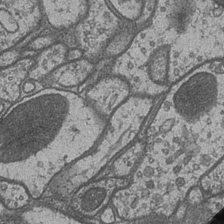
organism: Drosophila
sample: Optic medulla